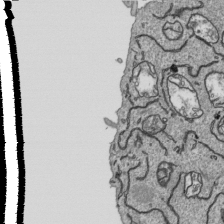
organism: Human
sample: Mitochondria in HCT116 cells